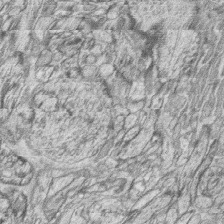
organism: Zebrafish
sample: synaptic ribbons in rod cells and cone cells